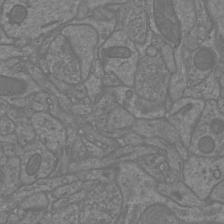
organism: Mouse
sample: Cortical neurons